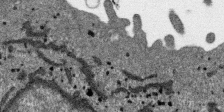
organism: Human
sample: Lung epithelial cells, uninfected (mock) control